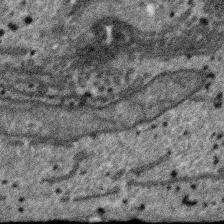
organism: Human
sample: Lung epithelial cells infected with SARS-CoV-2